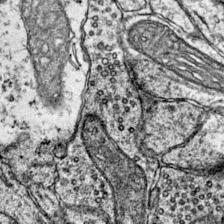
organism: Mouse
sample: Primary visual cortex